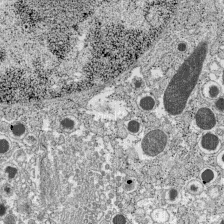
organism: C57BL Mouse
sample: Pancreatic islet